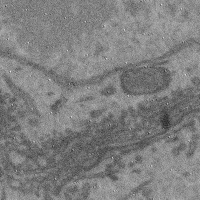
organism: Mouse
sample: Cerebral cortex